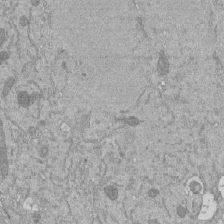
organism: Mouse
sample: ED-1 cell nuclei; centrioles